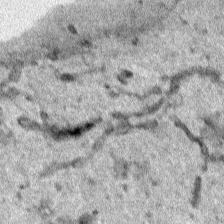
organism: Human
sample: Mitochondria in HCT116 cells